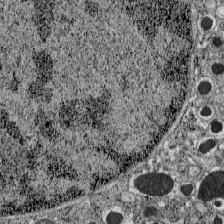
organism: C57BL Mouse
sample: Pancreatic islet